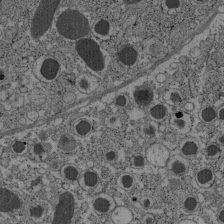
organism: C57BL Mouse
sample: Pancreatic islet